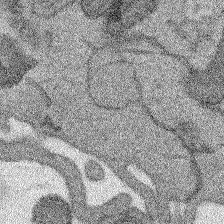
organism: Human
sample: HeLa cells